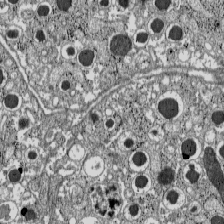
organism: C57BL Mouse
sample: Pancreatic islet